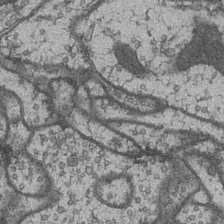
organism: Drosophila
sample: Optic medulla